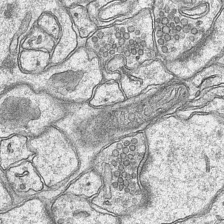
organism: Mouse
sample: CA1 Hippocampus